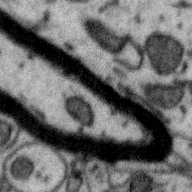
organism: Zebra finch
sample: Brain